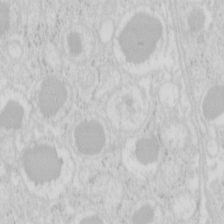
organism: Mouse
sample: Pancreas